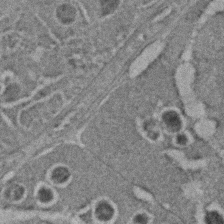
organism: C. elegans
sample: C. elegans embryo